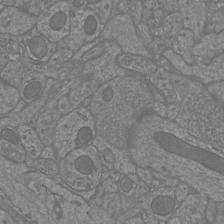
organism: Mouse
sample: Cortical neurons